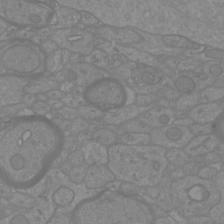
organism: Mouse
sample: Cortical neurons